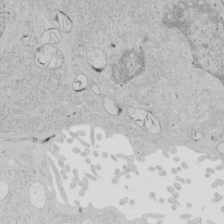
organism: Human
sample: Mitochondria in HCT116 cells